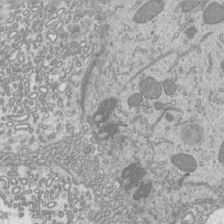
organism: Mouse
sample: Cilia; mouse epididymis